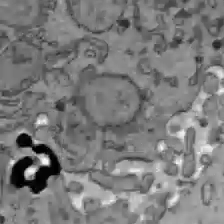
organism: C57BL Mouse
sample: Liver